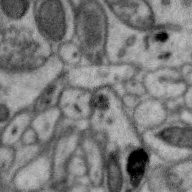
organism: Zebra finch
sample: Brain